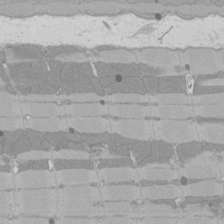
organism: Rat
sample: Left ventricle